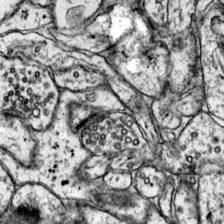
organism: Mouse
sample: Primary visual cortex